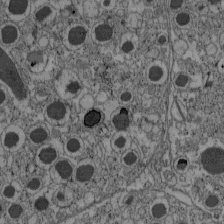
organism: C57BL Mouse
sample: Pancreatic islet